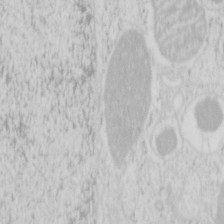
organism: Mouse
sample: Pancreas